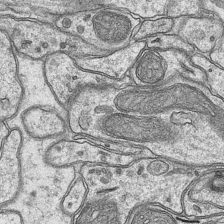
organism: Mouse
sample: CA1 Hippocampus